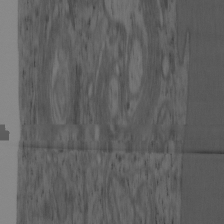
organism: Human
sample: HeLa cells